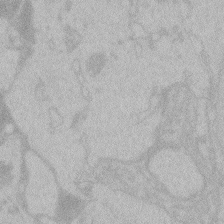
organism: Zebrafish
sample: Macrophage infected with Toxoplasma gondii